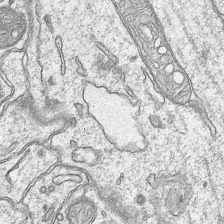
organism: Mouse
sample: CA1 Hippocampus